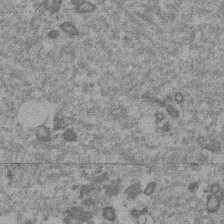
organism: Mouse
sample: Dividing mouse embryo 1 cell stage